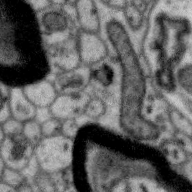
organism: Zebra finch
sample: Brain